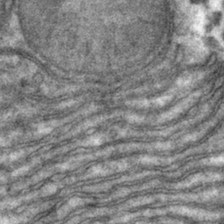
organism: Mouse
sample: Mouse hepatocytes